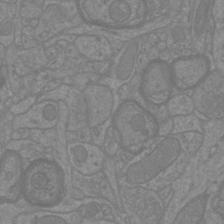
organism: Mouse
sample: Cortical neurons